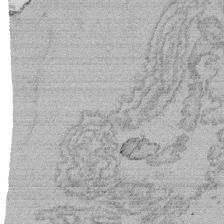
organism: Tetrahymena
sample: Cilia in tetrahymena